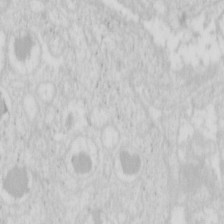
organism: Mouse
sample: Pancreas